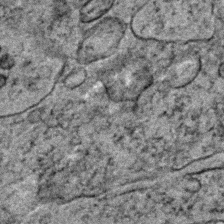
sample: Trachea